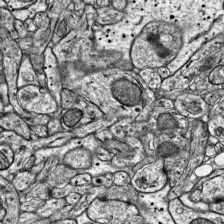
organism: Mouse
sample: Visual Cortex